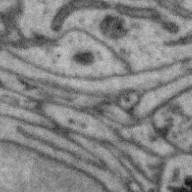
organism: Zebra finch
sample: Brain